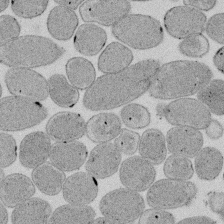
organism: E. coli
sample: Bacterial nucleoid